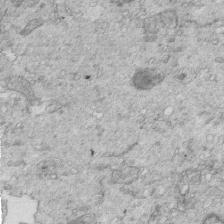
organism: Mouse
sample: Multiciliated cells